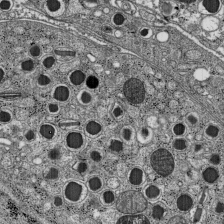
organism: C57BL Mouse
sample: Pancreatic islet